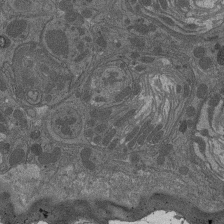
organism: Drosophila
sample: Antenna